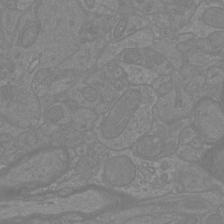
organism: Mouse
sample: Cortical neurons